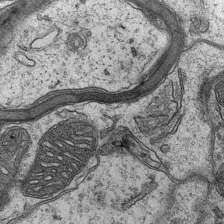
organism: Mouse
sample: CA1 Hippocampus